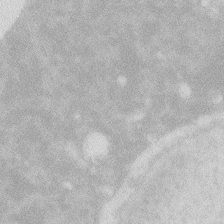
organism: Zebrafish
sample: Macrophage